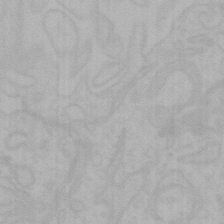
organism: Mouse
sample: Choroid plexus